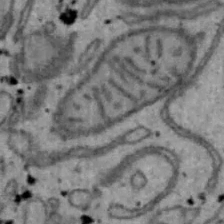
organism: Mouse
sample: Liver